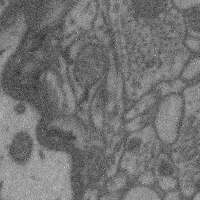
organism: Mouse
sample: Cerebral cortex